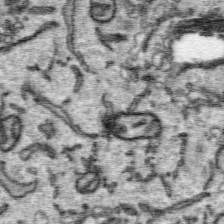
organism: Human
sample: HeLa cells